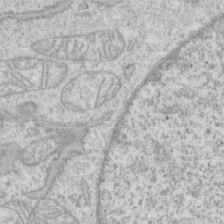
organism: Human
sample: CRL-1474